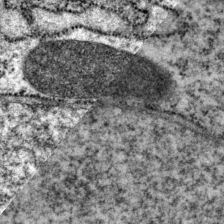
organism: P. pacificus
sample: Pharynx